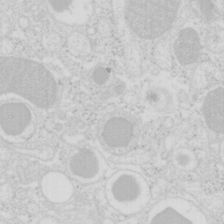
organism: Mouse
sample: Pancreas